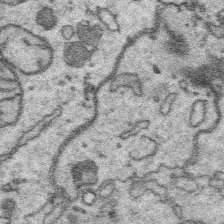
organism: Platynereis dumerilii